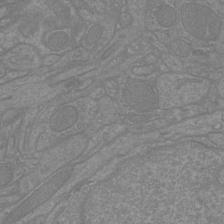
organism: Mouse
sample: Cortical neurons